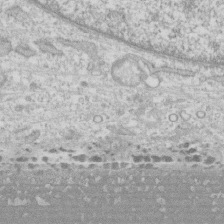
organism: Human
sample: CRL-1474